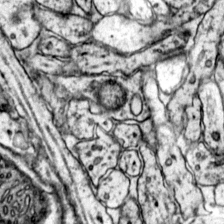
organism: Mouse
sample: Primary visual cortex